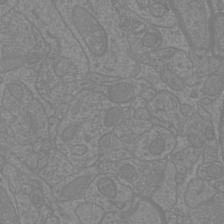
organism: Mouse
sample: Cortical neurons